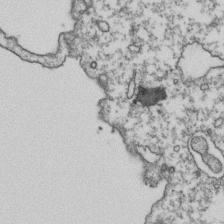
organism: Human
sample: Activated Jurkat CD4+ T cells